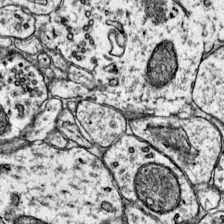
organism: Mouse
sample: Primary visual cortex